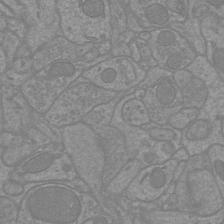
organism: Mouse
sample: Cortical neurons